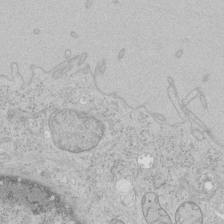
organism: Human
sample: Mitochondria in HCT116 cells